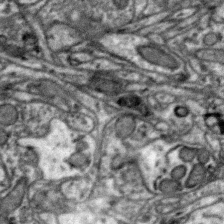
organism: Zebra finch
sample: Brain